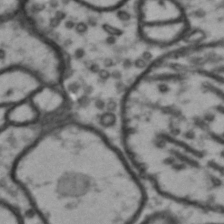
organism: Drosophila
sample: Brain